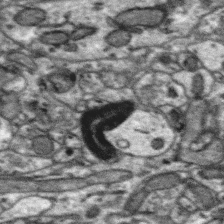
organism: Zebra finch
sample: Brain